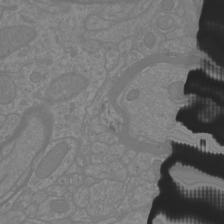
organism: Mouse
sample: Cortical neurons